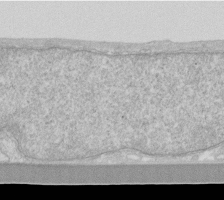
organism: Human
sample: Fibroblast cells